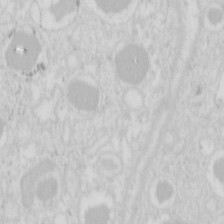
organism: Mouse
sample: Pancreas